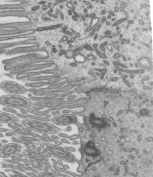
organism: Mouse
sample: Mouse epididymis efferent ductule cilia